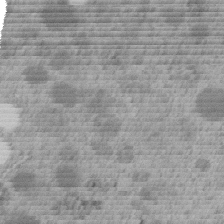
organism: C. elegans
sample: C. elegans embryo early stage